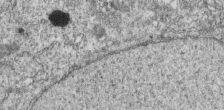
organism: Human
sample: HeLa cell HIV synapse